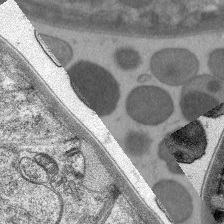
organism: C. elegans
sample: Pharynx